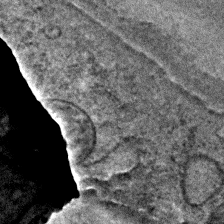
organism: C. elegans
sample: C. elegans embryo